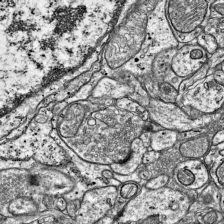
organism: Mouse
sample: Visual Cortex